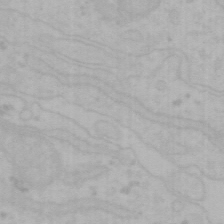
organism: Mouse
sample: Choroid plexus